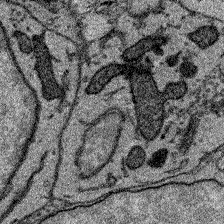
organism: Zebrafish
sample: Larval olfactory bulb